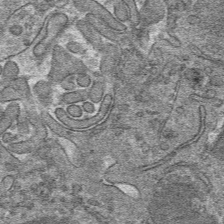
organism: Mouse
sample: Mouse hepatocytes